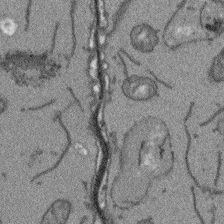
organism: Arabidopsis thaliana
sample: Root tip